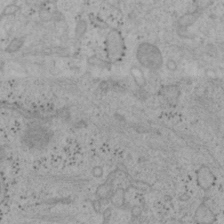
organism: Human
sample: HeLa cells